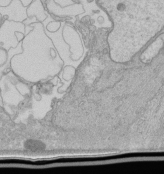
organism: Human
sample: Retinal organoid Rod and Cone cells